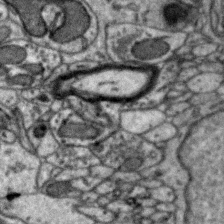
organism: Zebra finch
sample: Brain